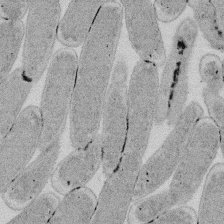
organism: E. coli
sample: Bacterial nucleoid